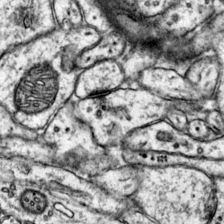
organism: Mouse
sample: Primary visual cortex